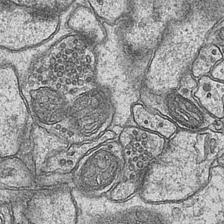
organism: Mouse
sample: CA1 Hippocampus